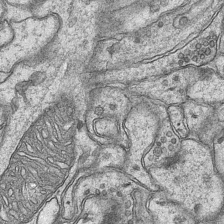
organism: Mouse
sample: CA1 Hippocampus